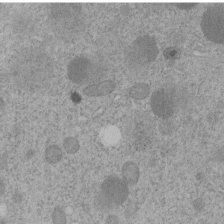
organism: C. elegans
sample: C. elegans embryo early stage